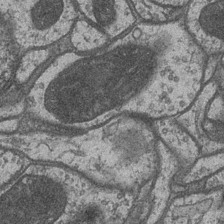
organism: Drosophila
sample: Optic medulla